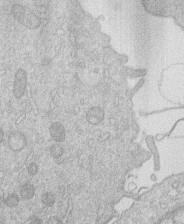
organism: Human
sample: Macrophage cells